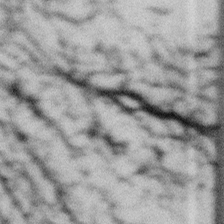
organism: Gemmata obscuriglobus